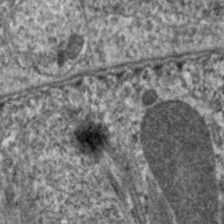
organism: C. elegans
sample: Pharynx